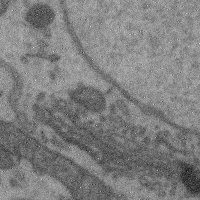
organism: Mouse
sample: Cerebral cortex